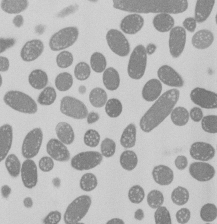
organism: E. coli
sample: Bacterial nucleoid